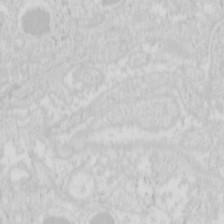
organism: Mouse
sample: Pancreas